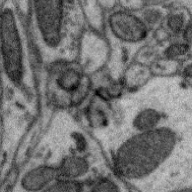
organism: Zebra finch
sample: Brain